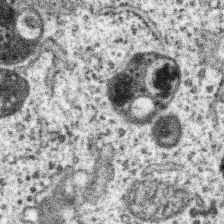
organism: Human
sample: HeLa cells